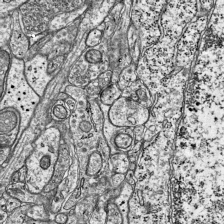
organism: Mouse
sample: Visual Cortex